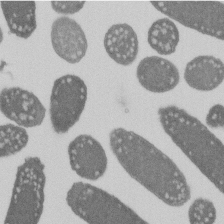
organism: E. coli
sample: Bacterial nucleoid